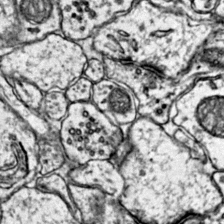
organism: Mouse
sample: Primary visual cortex